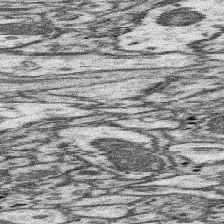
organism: Mouse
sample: Somatosensory cortex neuropil